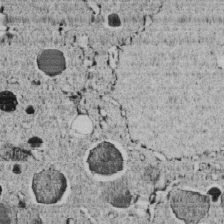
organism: C. elegans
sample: C. elegans embryo early stage